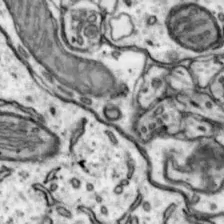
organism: Mouse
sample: Nucleus accumbens